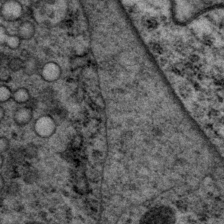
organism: P. pacificus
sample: Pharynx